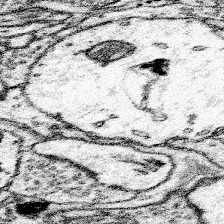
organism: Mouse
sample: Somatosensory cortex neuropil